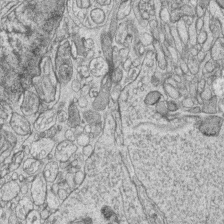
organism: Zebrafish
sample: synaptic ribbons in rod cells and cone cells